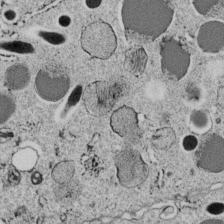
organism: C. elegans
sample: C. elegans embryo early stage